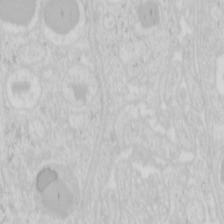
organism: Mouse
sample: Pancreas